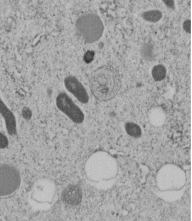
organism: C. elegans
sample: C. elegans embryo early stage